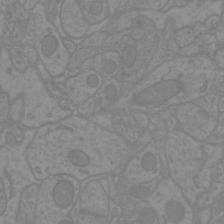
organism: Mouse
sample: Cortical neurons